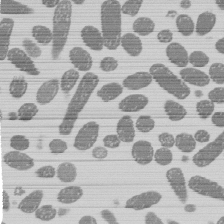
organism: E. coli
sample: Bacterial nucleoid